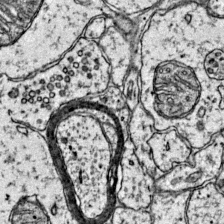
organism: Mouse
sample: Primary visual cortex